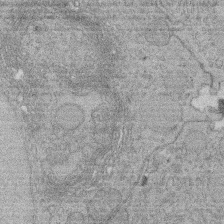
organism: Rat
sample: Salivary granule